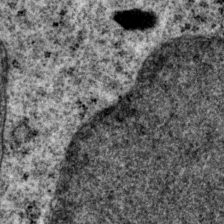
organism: P. pacificus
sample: Pharynx